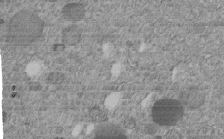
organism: C. elegans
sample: C. elegans embryo early stage